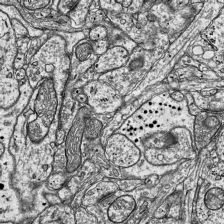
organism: Mouse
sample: Visual Cortex